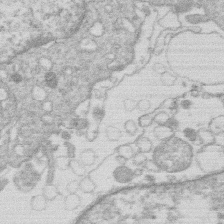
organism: Human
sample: Macrophage cells